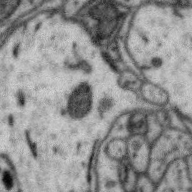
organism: Zebra finch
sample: Brain